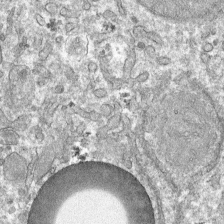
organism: Mouse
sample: Mouse hepatocytes